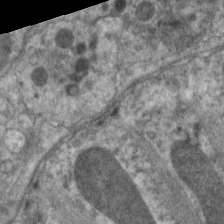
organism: C. elegans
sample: Pharynx